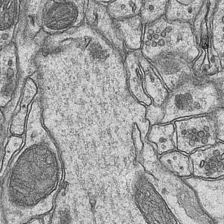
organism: Mouse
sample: CA1 Hippocampus